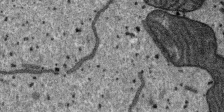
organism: Human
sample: Lung epithelial cells, uninfected (mock) control